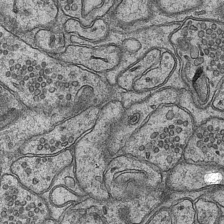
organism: Mouse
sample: CA1 Hippocampus